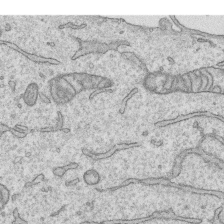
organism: Human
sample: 1205lu cells